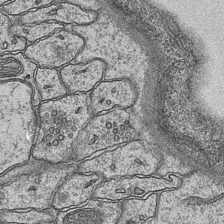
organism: Mouse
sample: CA1 Hippocampus